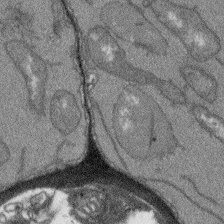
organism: Arabidopsis thaliana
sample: Root tip